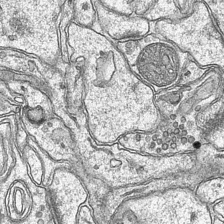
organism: Mouse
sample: CA1 Hippocampus